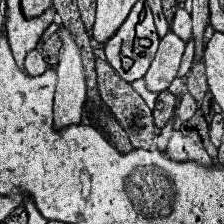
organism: Human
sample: Temporal Lobe